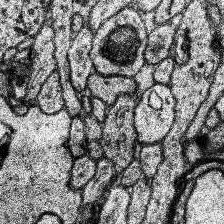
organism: Human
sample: Temporal Lobe